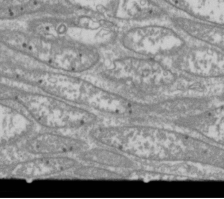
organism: Drosophila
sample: Cell division; meiosis; drosophila spermatocytes